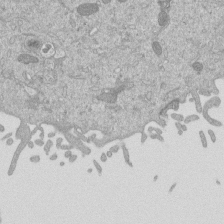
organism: Mouse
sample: ED-1 cell nuclei; centrioles